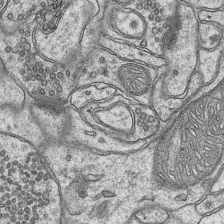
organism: Mouse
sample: CA1 Hippocampus